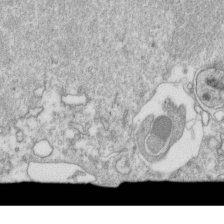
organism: Mouse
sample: Activated OT-1 CD8+ T cells